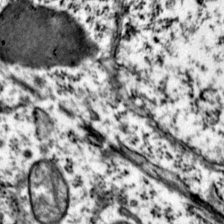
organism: Mouse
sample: Primary visual cortex